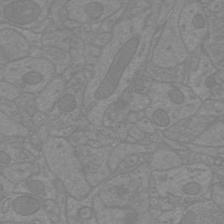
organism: Mouse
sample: Cortical neurons